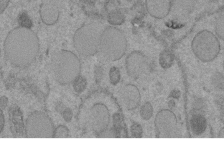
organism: C. elegans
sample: C. elegans embryo early stage